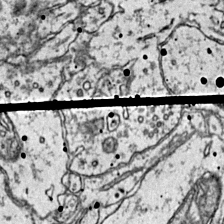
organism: Mouse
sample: Primary visual cortex